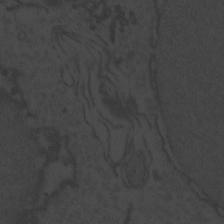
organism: Zebrafish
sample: Macrophage infected with Toxoplasma gondii